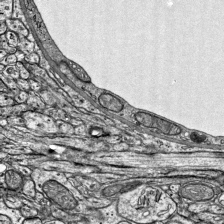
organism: Mouse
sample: Visual Cortex